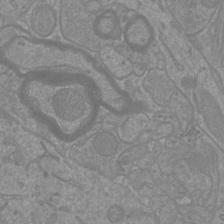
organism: Mouse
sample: Cortical neurons